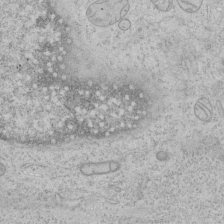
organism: Human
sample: Mitochondria in HCT116 cells